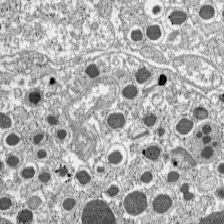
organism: C57BL Mouse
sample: Pancreatic islet